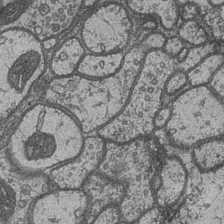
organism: Drosophila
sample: Optic medulla